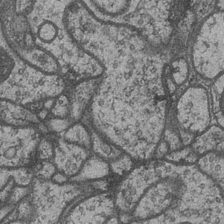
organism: Drosophila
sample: Optic medulla